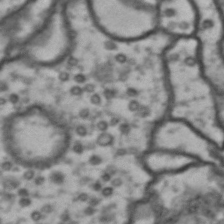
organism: Drosophila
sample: Brain